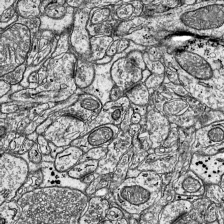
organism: Mouse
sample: Visual Cortex